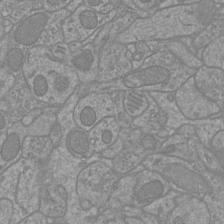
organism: Mouse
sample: Cortical neurons